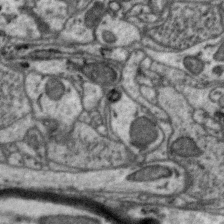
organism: Zebra finch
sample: Brain